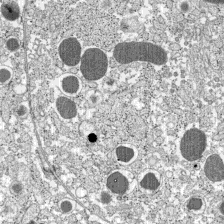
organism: C57BL Mouse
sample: Pancreatic islet